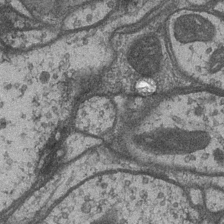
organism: Drosophila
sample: Optic medulla